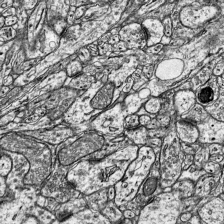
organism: Mouse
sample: Visual Cortex